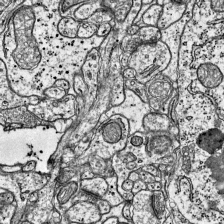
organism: Mouse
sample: Visual Cortex